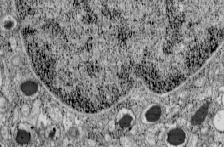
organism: C57BL Mouse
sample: Pancreatic islet